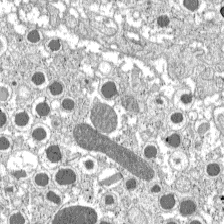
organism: C57BL Mouse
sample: Pancreatic islet